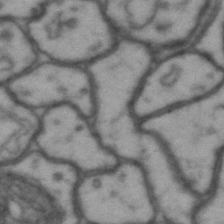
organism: Drosophila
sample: Brain